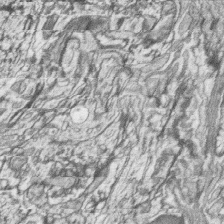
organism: Zebrafish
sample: synaptic ribbons in rod cells and cone cells